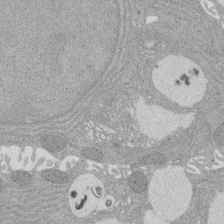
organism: Rat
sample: Salivary granule